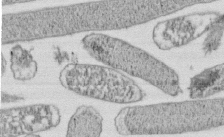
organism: E. coli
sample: Bacterial nucleoid